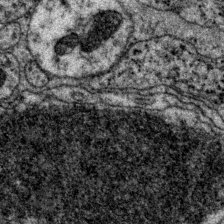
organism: P. pacificus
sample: Pharynx